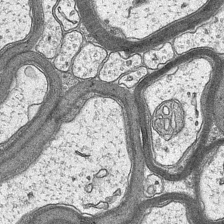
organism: Mouse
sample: CA1 Hippocampus